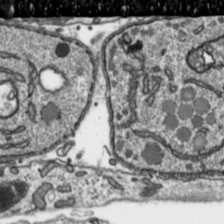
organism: Toxoplasma gondii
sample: Parasites in a vacuole inside a host cell